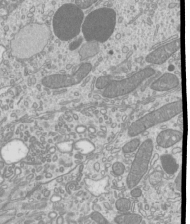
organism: Mouse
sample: Cilia; mouse epididymis